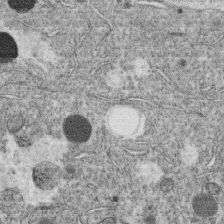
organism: C. elegans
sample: C. elegans oocyte; sperm cells